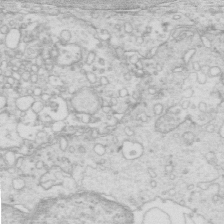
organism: Mouse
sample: Multiciliated cells